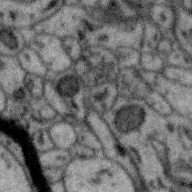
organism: Zebra finch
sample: Brain